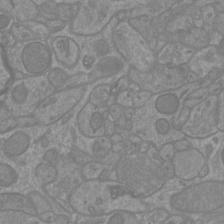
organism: Mouse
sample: Cortical neurons